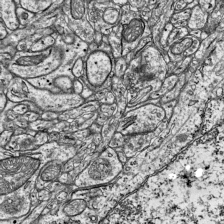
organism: Mouse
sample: Visual Cortex